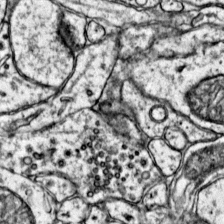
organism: Mouse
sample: Primary visual cortex